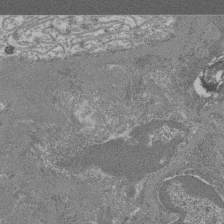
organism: Mouse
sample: Glomerulus